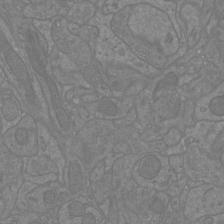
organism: Mouse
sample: Cortical neurons